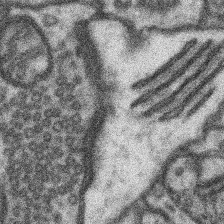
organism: Mouse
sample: Somatosensory cortex neuropil